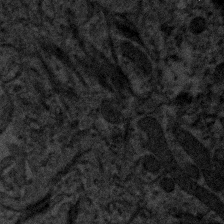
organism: Human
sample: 1205lu cells